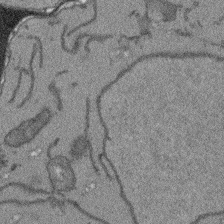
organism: Arabidopsis thaliana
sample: Root tip